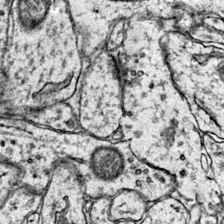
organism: Mouse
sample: Primary visual cortex